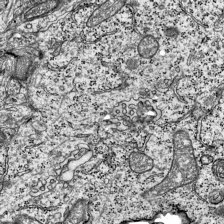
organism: Mouse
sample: Visual Cortex